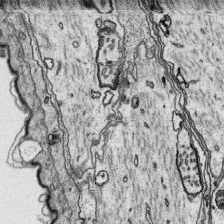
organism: Platynereis dumerilii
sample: Parapodia